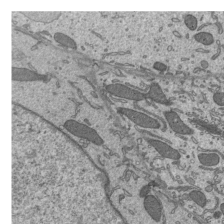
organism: Mouse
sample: Mouse epididymis efferent ductule cilia